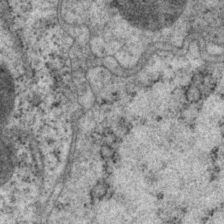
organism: P. pacificus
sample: Pharynx